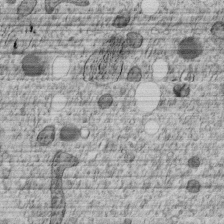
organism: C. elegans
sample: C. elegans embryo early stage